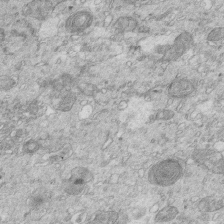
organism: Mouse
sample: Multiciliated cells